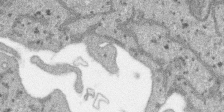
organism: Human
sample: Lung epithelial cells infected with SARS-CoV-2